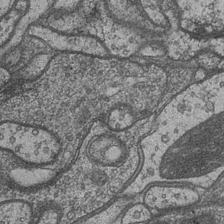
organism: Drosophila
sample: Optic medulla